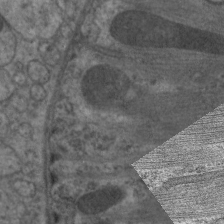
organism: C. elegans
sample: Pharynx